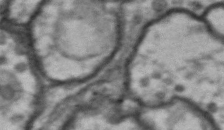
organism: Drosophila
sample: Brain